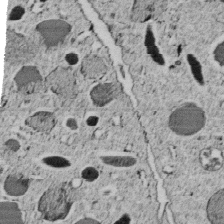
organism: C. elegans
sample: C. elegans embryo early stage